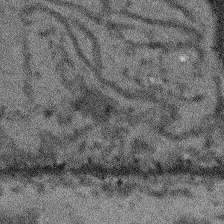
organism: Arabidopsis thaliana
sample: Root tip